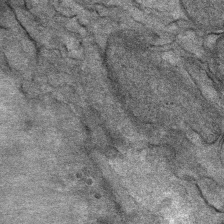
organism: Mouse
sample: Mouse Salivary gland